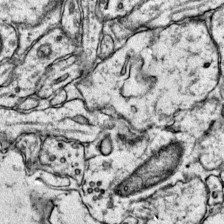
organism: Mouse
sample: Primary visual cortex